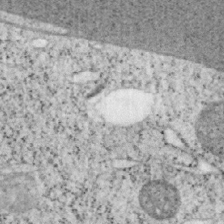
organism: Mouse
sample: OT-I killer T cells with ID8 ovarian cancer cells